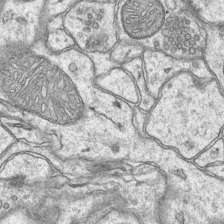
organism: Mouse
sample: CA1 Hippocampus